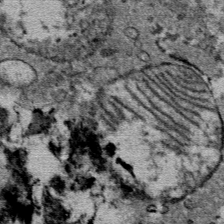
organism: Mouse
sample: Mouse Salivary gland